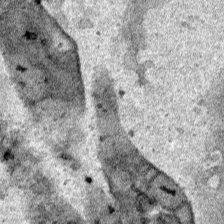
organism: Human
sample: Mitochondria in HCT116 cells